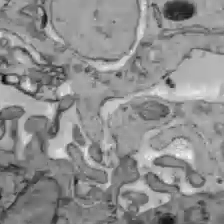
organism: C57BL Mouse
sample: Liver